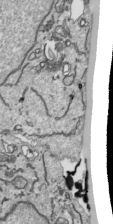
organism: Human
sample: Mitochondria in HCT116 cells